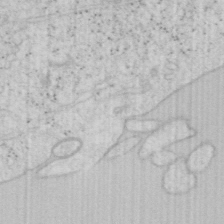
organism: Human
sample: HeLa cells